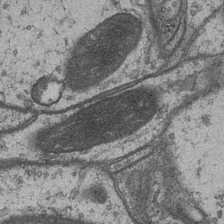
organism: Drosophila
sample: Optic medulla